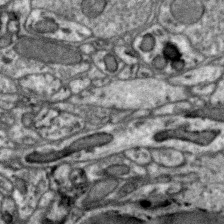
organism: Zebra finch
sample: Brain